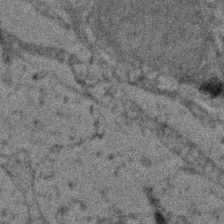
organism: Zebrafish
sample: Zebrafish embryo